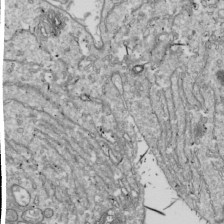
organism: Drosophila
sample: Cell division; meiosis; drosophila spermatocytes